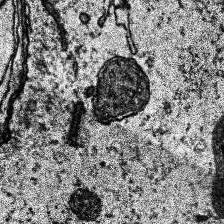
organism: Human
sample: Temporal Lobe